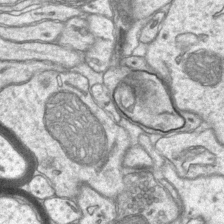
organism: Mouse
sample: CA1 Hippocampus